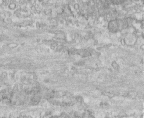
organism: Human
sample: Centriole in fibroblast cells